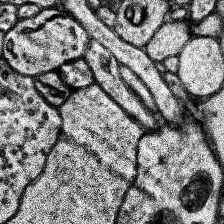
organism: Human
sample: Temporal Lobe